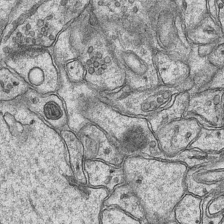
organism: Mouse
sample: CA1 Hippocampus